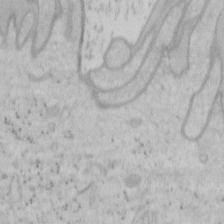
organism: Human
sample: HeLa cells